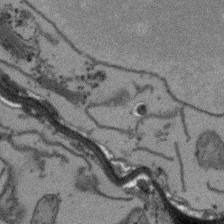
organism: Arabidopsis thaliana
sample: Root tip